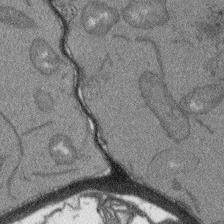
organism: Arabidopsis thaliana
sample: Root tip